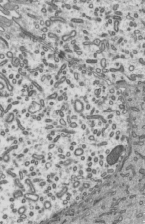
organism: Mouse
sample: Mouse epididymis efferent ductule cilia